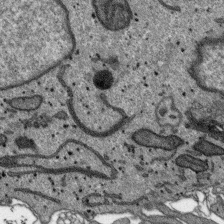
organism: Human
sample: Lung epithelial cells, uninfected (mock) control